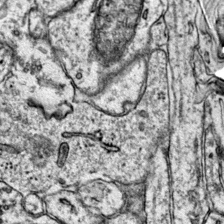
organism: Mouse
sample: Primary visual cortex